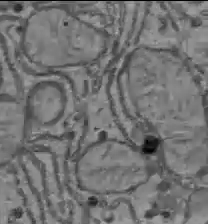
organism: C57BL Mouse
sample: Liver